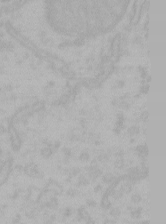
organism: Mouse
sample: Choroid plexus